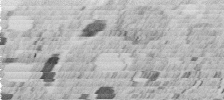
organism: C. elegans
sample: C. elegans embryo early stage